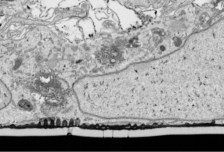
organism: Human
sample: Mitochondria in HCT116 cells